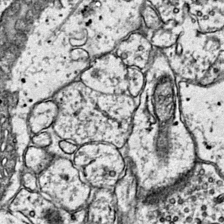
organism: Mouse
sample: Primary visual cortex